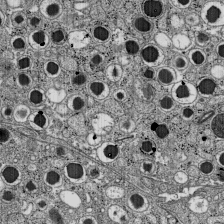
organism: C57BL Mouse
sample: Pancreatic islet